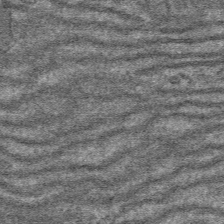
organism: Mouse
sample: Mouse hepatocytes